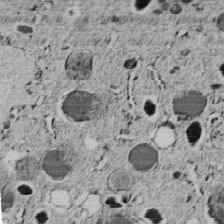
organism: C. elegans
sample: C. elegans embryo early stage